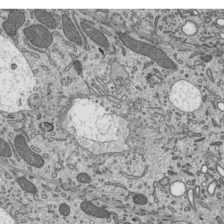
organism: Mouse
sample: Mouse epididymis efferent ductule cilia